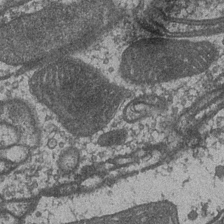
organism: Drosophila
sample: Optic medulla